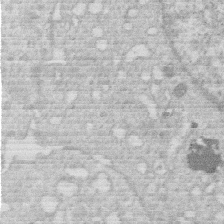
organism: Human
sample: Macrophage cells